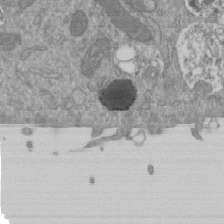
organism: Mouse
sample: ED-1 cell nuclei; centrioles